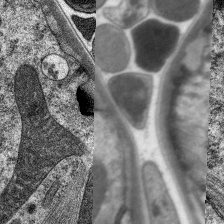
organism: C. elegans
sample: Pharynx